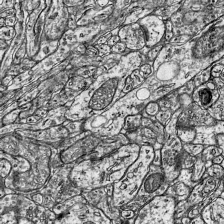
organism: Mouse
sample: Visual Cortex